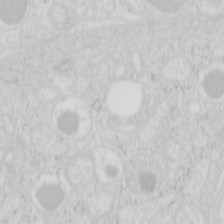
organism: Mouse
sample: Pancreas